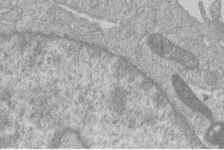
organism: Human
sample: Macrophage cells